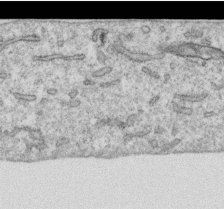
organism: Human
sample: Centriole in RPE cells